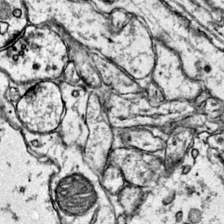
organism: Mouse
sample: Primary visual cortex